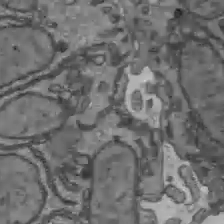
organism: C57BL Mouse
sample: Liver